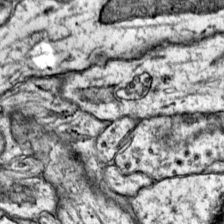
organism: Mouse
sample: Primary visual cortex